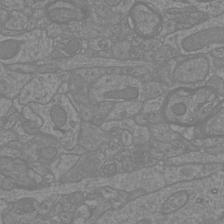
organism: Mouse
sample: Cortical neurons